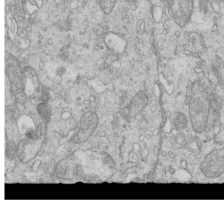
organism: Mouse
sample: Multiciliated cells